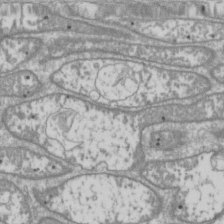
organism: Drosophila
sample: Cell division; meiosis; drosophila spermatocytes